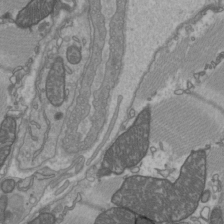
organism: C57BL Mouse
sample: Heart